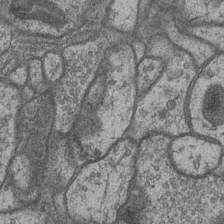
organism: Drosophila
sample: Optic medulla